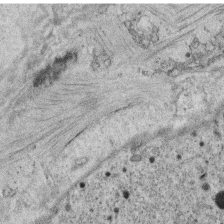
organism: C. elegans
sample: C. elegans oocyte; sperm cells